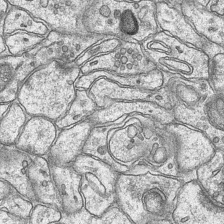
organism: Mouse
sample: CA1 Hippocampus